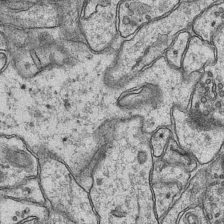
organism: Mouse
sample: CA1 Hippocampus